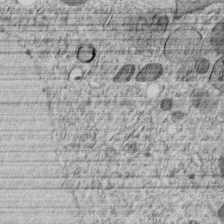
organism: C. elegans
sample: C. elegans embryo early stage